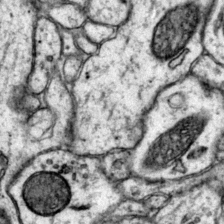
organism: Mouse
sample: Primary visual cortex